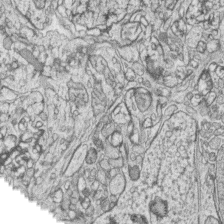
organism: Zebrafish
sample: synaptic ribbons in rod cells and cone cells